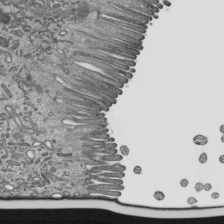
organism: Mouse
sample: Mouse epididymis efferent ductule cilia